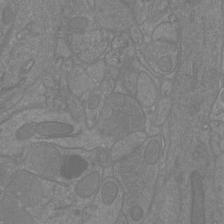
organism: Mouse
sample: Cortical neurons